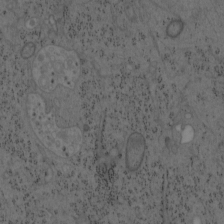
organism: Mouse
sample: OT-I killer T cells with ID8 ovarian cancer cells